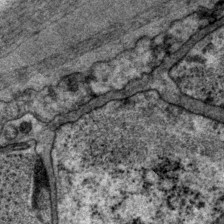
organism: P. pacificus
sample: Pharynx